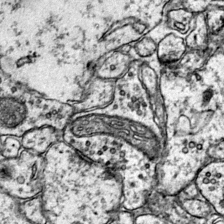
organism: Mouse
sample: Primary visual cortex